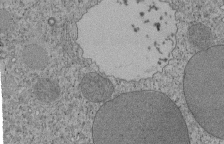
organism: Tetrahymena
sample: Cilia in tetrahymena